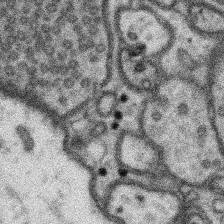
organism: Mouse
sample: Somatosensory cortex neuropil